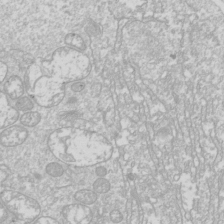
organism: Drosophila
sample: Cell division; meiosis; drosophila spermatocytes